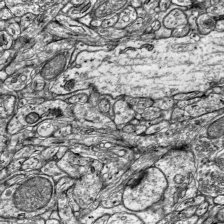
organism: Mouse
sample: Visual Cortex